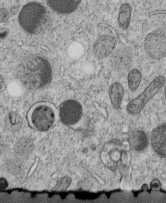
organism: C. elegans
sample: C. elegans embryo early stage